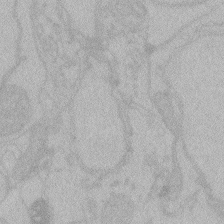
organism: Zebrafish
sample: Macrophage infected with Toxoplasma gondii